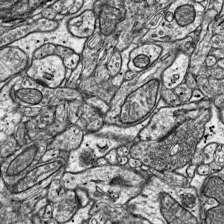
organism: Mouse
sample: Visual Cortex